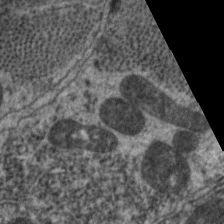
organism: C. elegans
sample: Pharynx